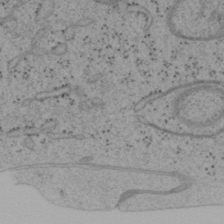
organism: Human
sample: HeLa cells